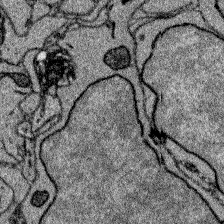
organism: Zebrafish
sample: Larval olfactory bulb